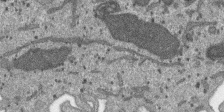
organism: Human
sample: Lung epithelial cells infected with SARS-CoV-2